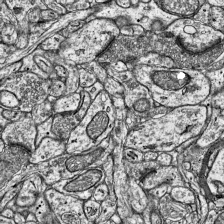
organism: Mouse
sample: Visual Cortex